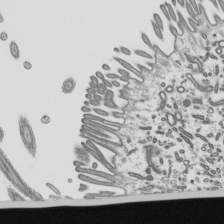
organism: Mouse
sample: Mouse epididymis efferent ductule cilia